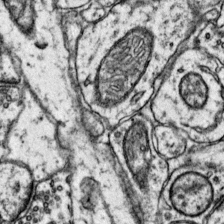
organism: Mouse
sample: Primary visual cortex